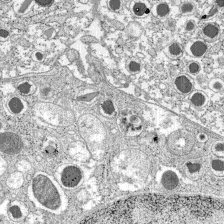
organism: C57BL Mouse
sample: Pancreatic islet